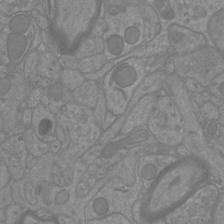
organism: Mouse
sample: Cortical neurons